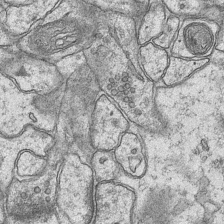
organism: Mouse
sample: CA1 Hippocampus